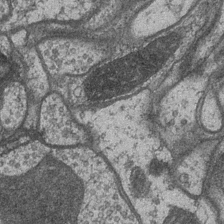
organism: Drosophila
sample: Optic medulla